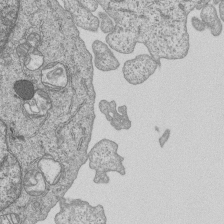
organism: Human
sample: MDA-MB-231 cells